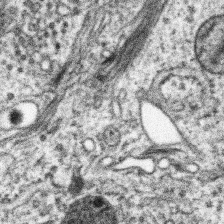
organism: Human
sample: HeLa cells